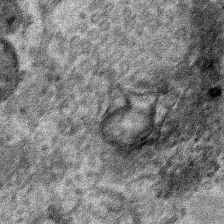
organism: Human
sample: Mitochondria in HCT116 cells